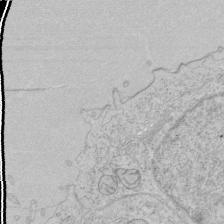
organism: Human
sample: Mitochondria in HCT116 cells